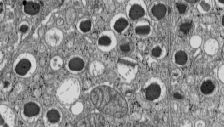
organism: C57BL Mouse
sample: Pancreatic islet